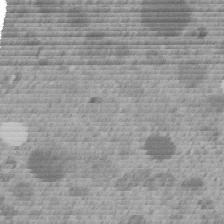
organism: C. elegans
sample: C. elegans embryo early stage